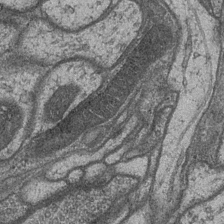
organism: Drosophila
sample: Optic medulla